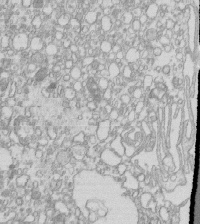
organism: Mouse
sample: Macrophages